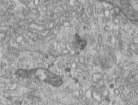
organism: Human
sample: Centriole in RPE cells